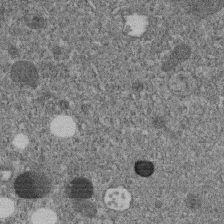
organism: C. elegans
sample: C. elegans embryo early stage